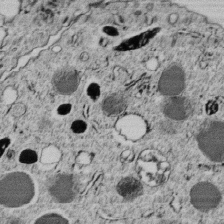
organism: C. elegans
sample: C. elegans embryo early stage